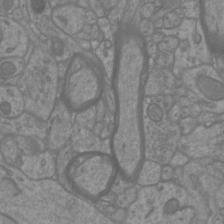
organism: Mouse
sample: Cortical neurons